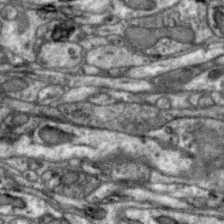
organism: Zebra finch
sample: Brain